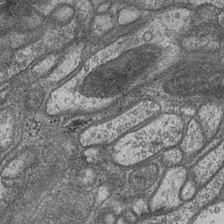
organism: Drosophila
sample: Optic medulla